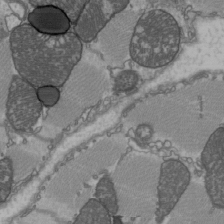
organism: C57BL Mouse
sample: Heart